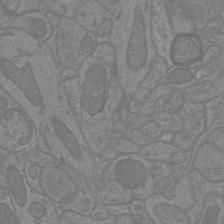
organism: Mouse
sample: Cortical neurons